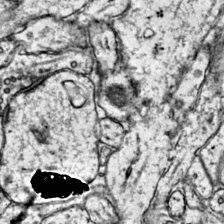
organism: Mouse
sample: Primary visual cortex